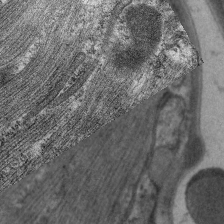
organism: C. elegans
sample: Pharynx